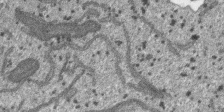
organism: Human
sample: Lung epithelial cells infected with SARS-CoV-2